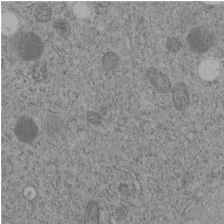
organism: C. elegans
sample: C. elegans embryo early stage